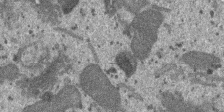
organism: Human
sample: Lung epithelial cells infected with SARS-CoV-2